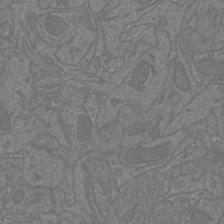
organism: Mouse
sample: Cortical neurons